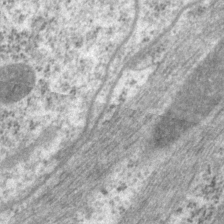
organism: P. pacificus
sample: Pharynx